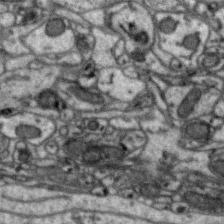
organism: Zebra finch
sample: Brain